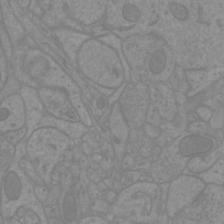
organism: Mouse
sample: Cortical neurons